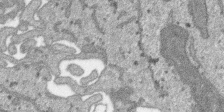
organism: Human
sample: Lung epithelial cells infected with SARS-CoV-2